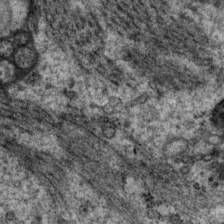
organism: P. pacificus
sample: Pharynx